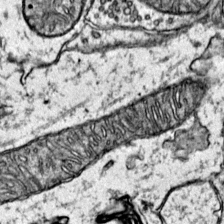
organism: Mouse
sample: Primary visual cortex